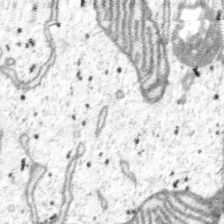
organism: Human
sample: HeLa cells